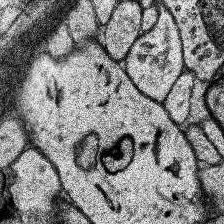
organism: Human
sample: Temporal Lobe